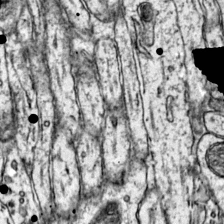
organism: Mouse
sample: Primary visual cortex